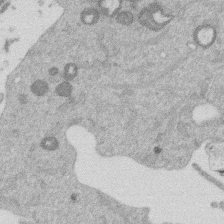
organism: Mouse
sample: Dividing mouse embryo 1 cell stage